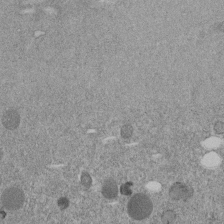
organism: C. elegans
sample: C. elegans embryo early stage